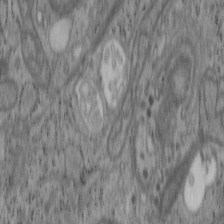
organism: Human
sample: HeLa cells